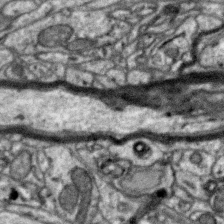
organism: Zebra finch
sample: Brain